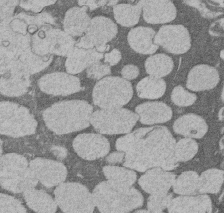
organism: Rat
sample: Salivary granule